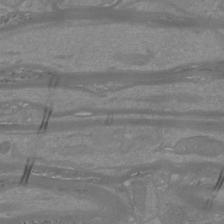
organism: Mouse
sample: Cortical neurons